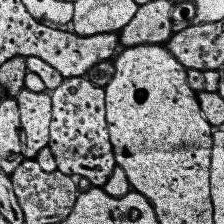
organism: Human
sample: Temporal Lobe